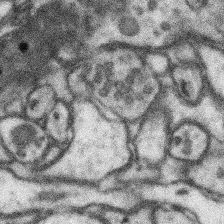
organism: Mouse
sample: Somatosensory cortex neuropil